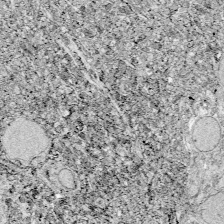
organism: Zebrafish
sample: Whole-Brain